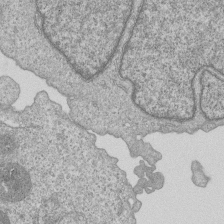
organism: Human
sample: MDA-MB-231 cells